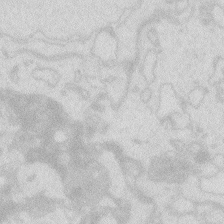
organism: Zebrafish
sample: Macrophage